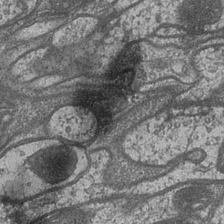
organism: Drosophila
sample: Optic medulla